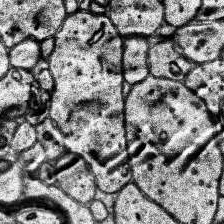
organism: Human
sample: Temporal Lobe